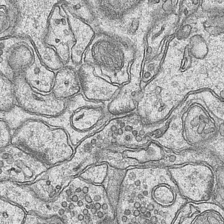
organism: Mouse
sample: CA1 Hippocampus